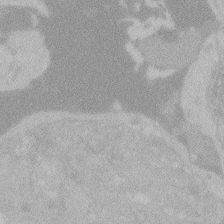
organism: Zebrafish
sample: Macrophage infected with Toxoplasma gondii